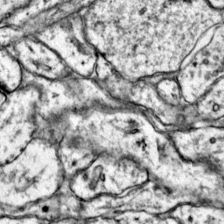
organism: Mouse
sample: Primary visual cortex